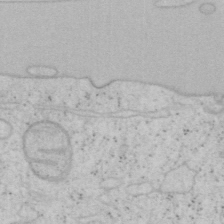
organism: Human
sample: HeLa cells